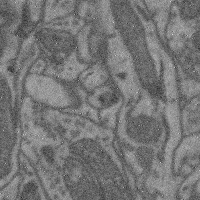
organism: Mouse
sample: Cerebral cortex